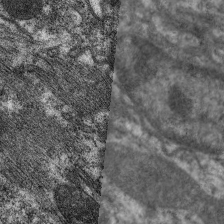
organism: C. elegans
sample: Pharynx